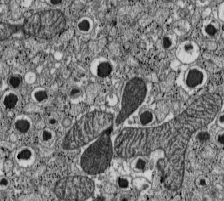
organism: C57BL Mouse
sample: Pancreatic islet